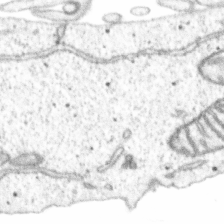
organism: Human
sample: HeLa cells